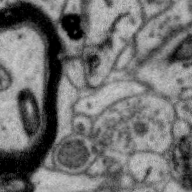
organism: Zebra finch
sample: Brain